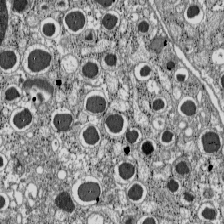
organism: C57BL Mouse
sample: Pancreatic islet